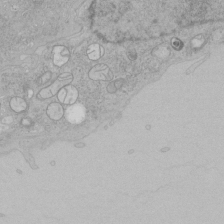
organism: Human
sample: Mitochondria in HCT116 cells